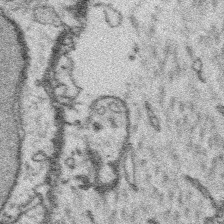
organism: Platynereis dumerilii